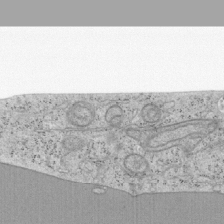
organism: Human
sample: HeLa cells